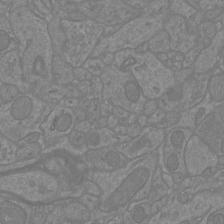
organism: Mouse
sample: Cortical neurons